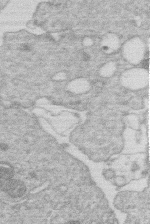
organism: Human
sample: Macrophage cells